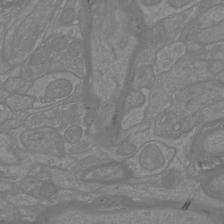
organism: Mouse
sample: Cortical neurons